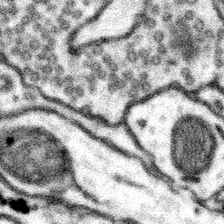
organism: Mouse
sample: Somatosensory cortex neuropil